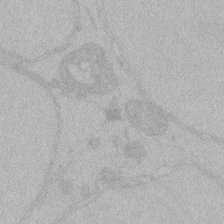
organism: Zebrafish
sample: Macrophage infected with Toxoplasma gondii